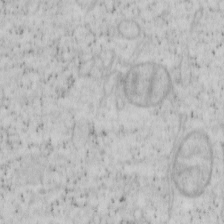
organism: Human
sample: HeLa cells